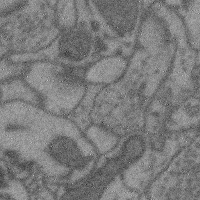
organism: Mouse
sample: Cerebral cortex